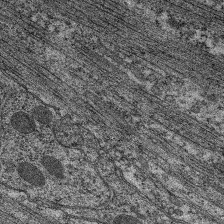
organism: C. elegans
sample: Pharynx